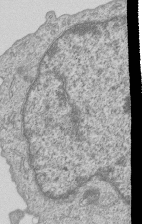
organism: Human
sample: MDA-MB-231 cells